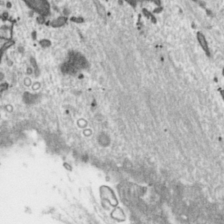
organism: Toxoplasma gondii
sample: Parasites in a vacuole inside a host cell